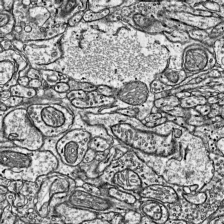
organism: Mouse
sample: Visual Cortex